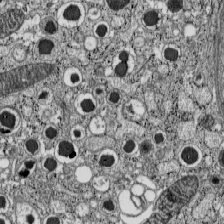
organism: C57BL Mouse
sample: Pancreatic islet